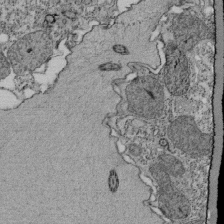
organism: Tetrahymena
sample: Cilia in tetrahymena